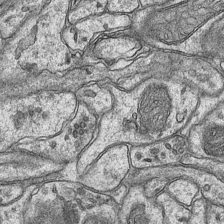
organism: Mouse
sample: CA1 Hippocampus